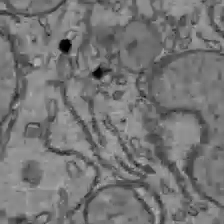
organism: C57BL Mouse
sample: Liver